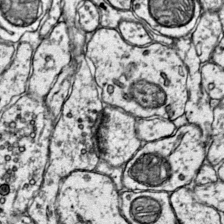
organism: Mouse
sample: Primary visual cortex